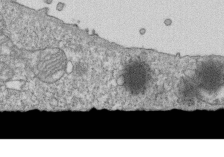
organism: Human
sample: HeLa cell HIV synapse